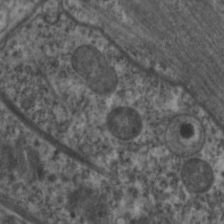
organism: C. elegans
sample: Pharynx